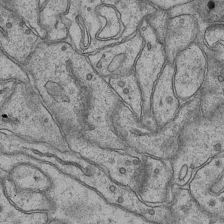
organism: Mouse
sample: CA1 Hippocampus